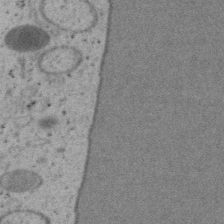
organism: Human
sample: HeLa cells